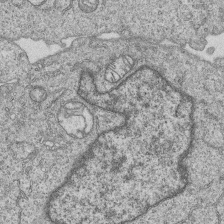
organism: Human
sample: MDA-MB-231 cells